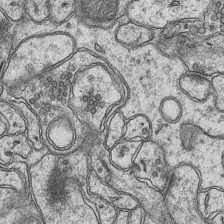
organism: Mouse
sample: CA1 Hippocampus